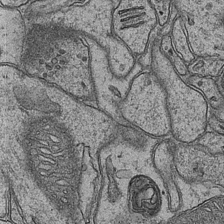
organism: Mouse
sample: CA1 Hippocampus